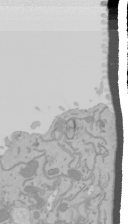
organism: Mouse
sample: Cancer cell death in ED-1 cells